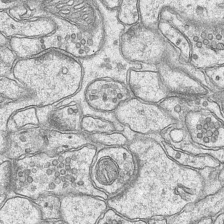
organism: Mouse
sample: CA1 Hippocampus